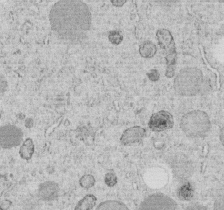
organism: C. elegans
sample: C. elegans embryo early stage